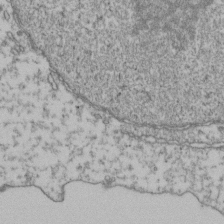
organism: Human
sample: Activated Jurkat CD4+ T cells